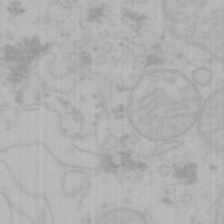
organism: Mouse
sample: Choroid plexus